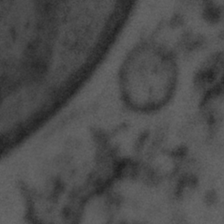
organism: Tuwongella immobilis